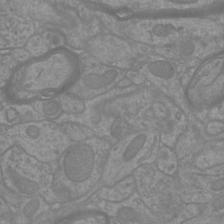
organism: Mouse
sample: Cortical neurons